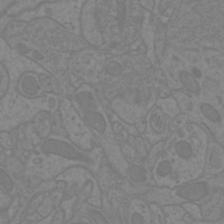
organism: Mouse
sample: Cortical neurons